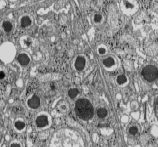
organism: C57BL Mouse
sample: Pancreatic islet